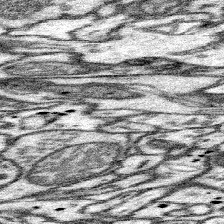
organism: Mouse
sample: Somatosensory cortex neuropil